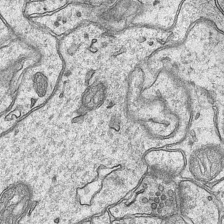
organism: Mouse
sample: CA1 Hippocampus